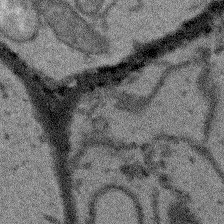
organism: Arabidopsis thaliana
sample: Root tip